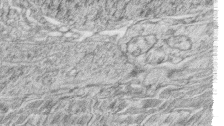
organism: Zebrafish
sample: synaptic ribbons in rod cells and cone cells